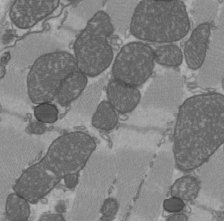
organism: C57BL Mouse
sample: Heart